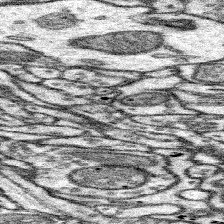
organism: Mouse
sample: Somatosensory cortex neuropil